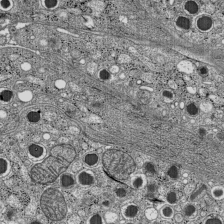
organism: C57BL Mouse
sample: Pancreatic islet